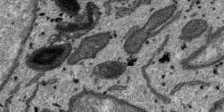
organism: Human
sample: Lung epithelial cells, uninfected (mock) control